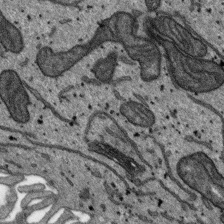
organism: Human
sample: Lung epithelial cells, uninfected (mock) control